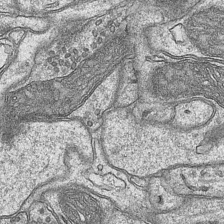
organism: Mouse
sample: CA1 Hippocampus